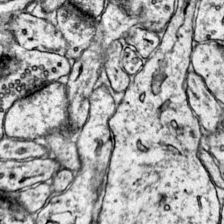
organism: Mouse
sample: Primary visual cortex